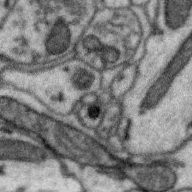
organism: Zebra finch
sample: Brain